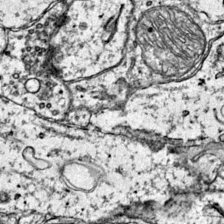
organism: Mouse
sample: Primary visual cortex